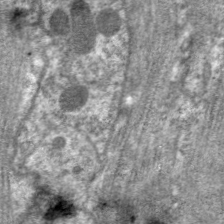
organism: C. elegans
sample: Pharynx